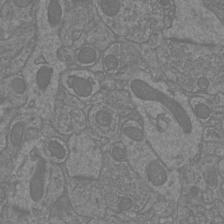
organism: Mouse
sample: Cortical neurons